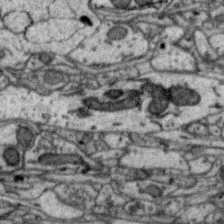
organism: Zebra finch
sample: Brain